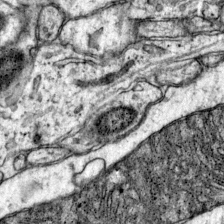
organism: Mouse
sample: Primary visual cortex